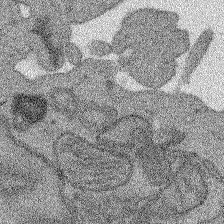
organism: Human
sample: HeLa cells